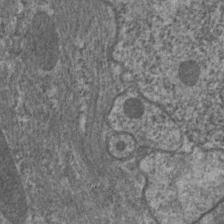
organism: C. elegans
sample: Pharynx